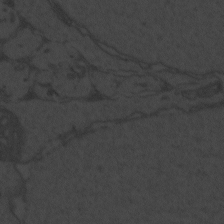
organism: Zebrafish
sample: Macrophage infected with Toxoplasma gondii